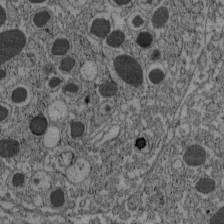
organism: C57BL Mouse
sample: Pancreatic islet